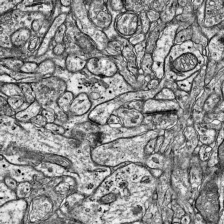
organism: Mouse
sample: Visual Cortex